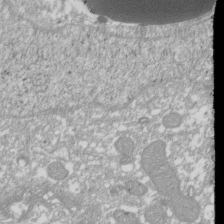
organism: Xenopus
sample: Cilia; centrioles in frog embryo cells